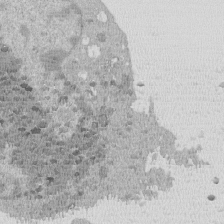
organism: Mouse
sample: Activated Pmel transgenic CD8+ T Cells